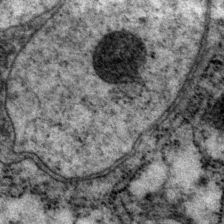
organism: P. pacificus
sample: Pharynx